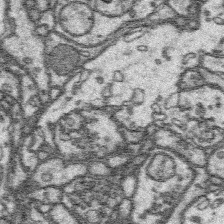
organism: Platynereis dumerilii